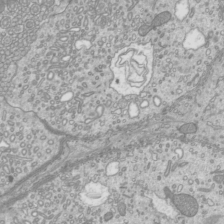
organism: Mouse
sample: Cilia; mouse epididymis